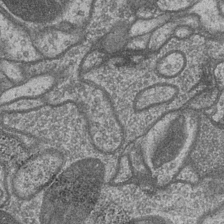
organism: Drosophila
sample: Optic medulla